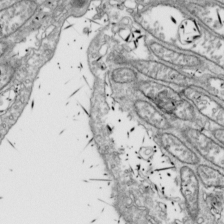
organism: Drosophila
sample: Cell division; meiosis; drosophila spermatocytes